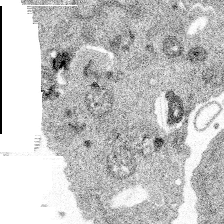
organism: Spongilla lacustris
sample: Multiple